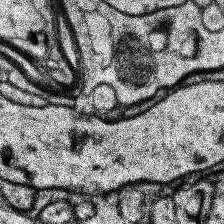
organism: Human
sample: Temporal Lobe